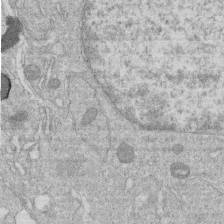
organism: Human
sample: Macrophage cells